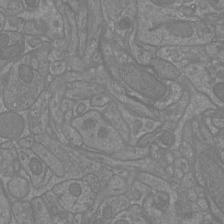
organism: Mouse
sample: Cortical neurons